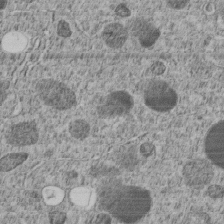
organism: C. elegans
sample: C. elegans embryo early stage